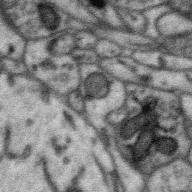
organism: Zebra finch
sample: Brain